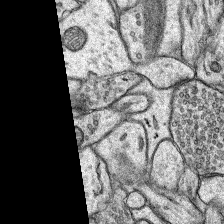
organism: Rat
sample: Hippocampus